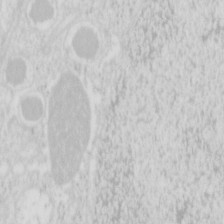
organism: Mouse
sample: Pancreas